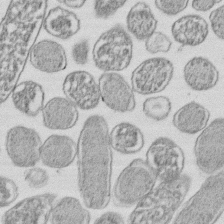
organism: E. coli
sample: Bacterial nucleoid